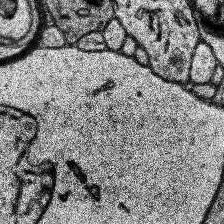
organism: Human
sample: Temporal Lobe